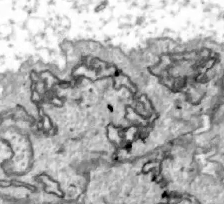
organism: Zebrafish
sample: Actinotrichia fibers